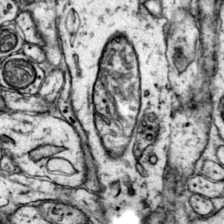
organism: Mouse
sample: Primary visual cortex